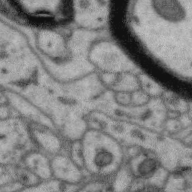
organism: Zebra finch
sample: Brain